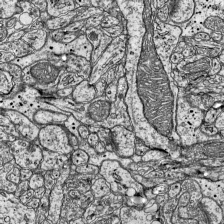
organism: Mouse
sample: Visual Cortex